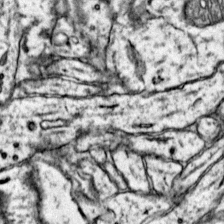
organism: Mouse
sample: Primary visual cortex